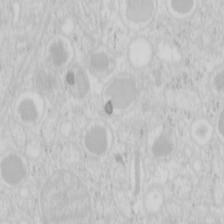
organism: Mouse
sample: Pancreas